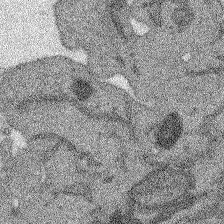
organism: Human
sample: HeLa cells